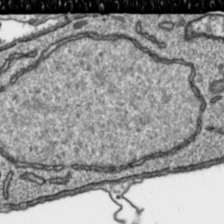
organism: Toxoplasma gondii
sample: Parasites in a vacuole inside a host cell